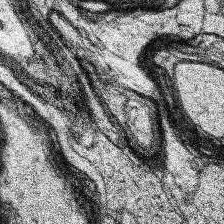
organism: Human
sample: Temporal Lobe